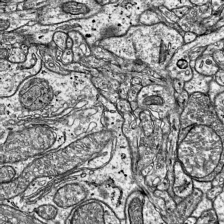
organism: Mouse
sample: Visual Cortex